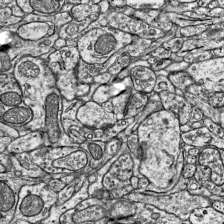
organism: Mouse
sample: Visual Cortex